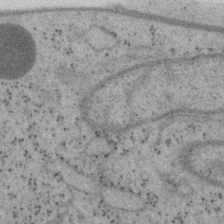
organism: Human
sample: HeLa cells